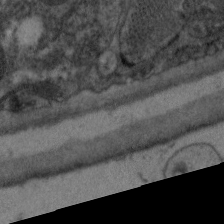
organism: C. elegans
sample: Pharynx